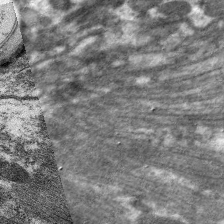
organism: C. elegans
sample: Pharynx